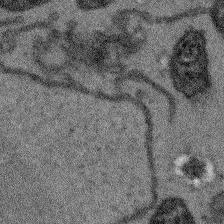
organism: Arabidopsis thaliana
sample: Root tip